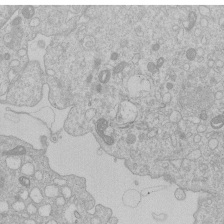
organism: Human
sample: Macrophage cells